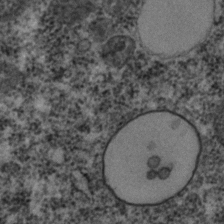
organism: C. elegans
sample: C. elegans embryo